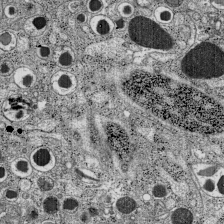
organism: C57BL Mouse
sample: Pancreatic islet